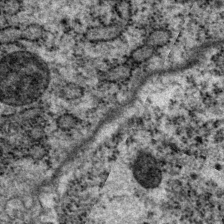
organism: P. pacificus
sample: Pharynx